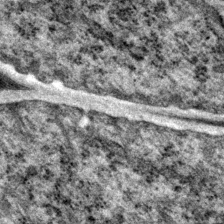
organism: P. pacificus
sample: Pharynx